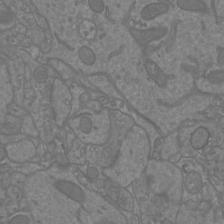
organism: Mouse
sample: Cortical neurons